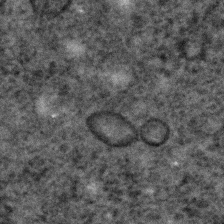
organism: C. elegans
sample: C. elegans embryo